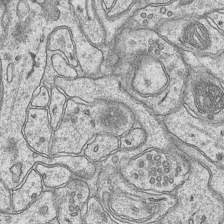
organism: Mouse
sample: CA1 Hippocampus